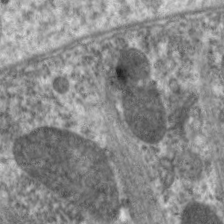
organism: C. elegans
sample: Pharynx